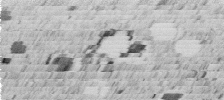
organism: C. elegans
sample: C. elegans embryo early stage